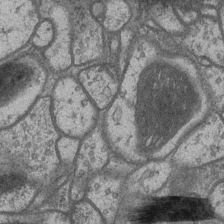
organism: Drosophila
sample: Optic medulla